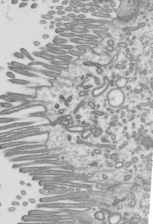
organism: Mouse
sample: Mouse epididymis efferent ductule cilia